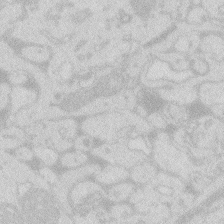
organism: Zebrafish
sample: Macrophage